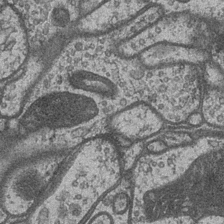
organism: Drosophila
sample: Optic medulla